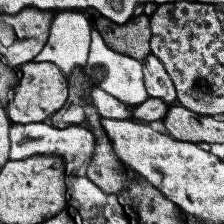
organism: Human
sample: Temporal Lobe